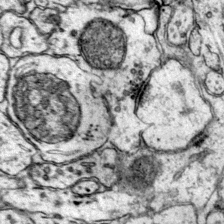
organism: Mouse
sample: Primary visual cortex